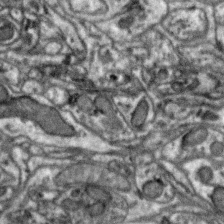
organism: Zebra finch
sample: Brain